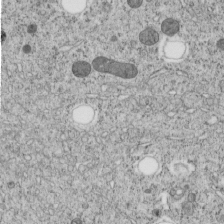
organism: C. elegans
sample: C. elegans embryo early stage